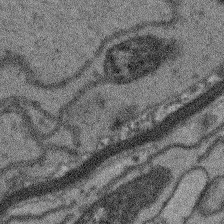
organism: Arabidopsis thaliana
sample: Root tip